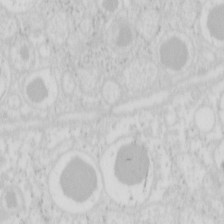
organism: Mouse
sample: Pancreas